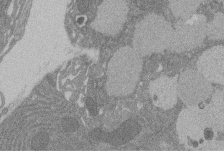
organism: Rat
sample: Salivary granule